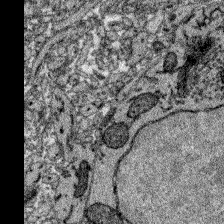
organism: Zebrafish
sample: Larval olfactory bulb